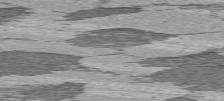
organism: C57BL Mouse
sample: Heart